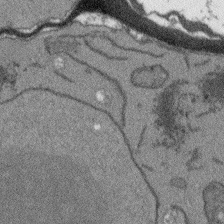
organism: Arabidopsis thaliana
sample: Root tip